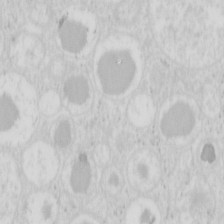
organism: Mouse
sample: Pancreas